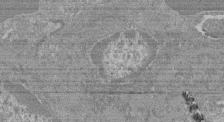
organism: Mouse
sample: Glomerulus